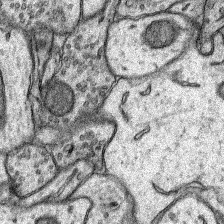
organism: Rat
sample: Hippocampus